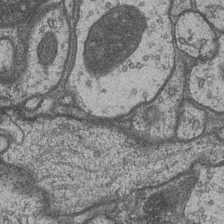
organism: Drosophila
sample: Optic medulla